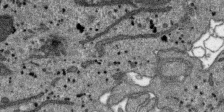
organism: Human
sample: Lung epithelial cells, uninfected (mock) control